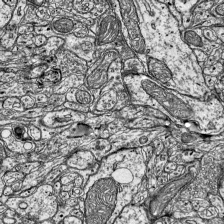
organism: Mouse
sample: Visual Cortex